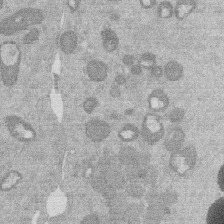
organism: Mouse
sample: Dividing mouse embryo 1 cell stage